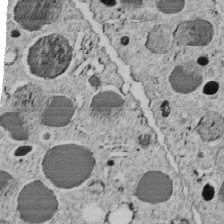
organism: C. elegans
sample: C. elegans embryo early stage